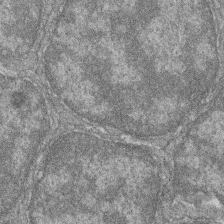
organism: Zebrafish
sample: Cilia; retinal pigment epithelium